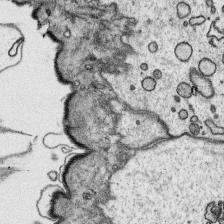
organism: Platynereis dumerilii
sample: Parapodia